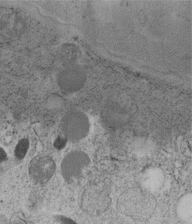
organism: C. elegans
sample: C. elegans embryo early stage